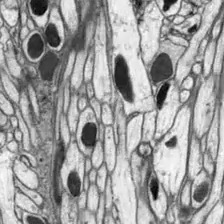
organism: Drosophila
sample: Optic lobe